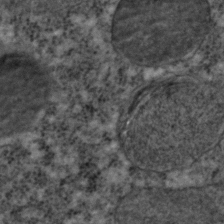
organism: C. elegans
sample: C. elegans embryo